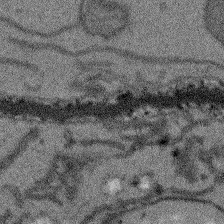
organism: Arabidopsis thaliana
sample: Root tip